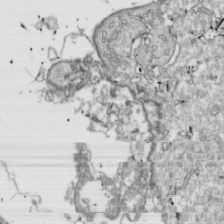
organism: Drosophila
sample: Cell division; meiosis; drosophila spermatocytes